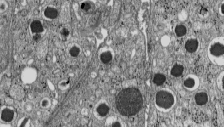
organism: C57BL Mouse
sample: Pancreatic islet